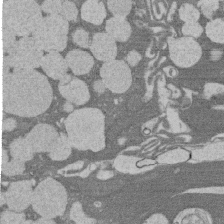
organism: Rat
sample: Salivary granule